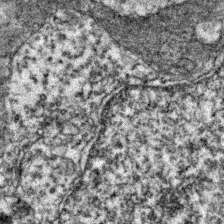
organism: Zebrafish